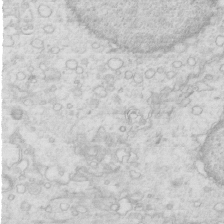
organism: Mouse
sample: Multiciliated cells